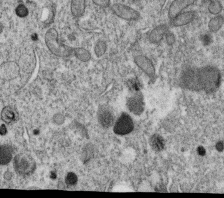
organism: C. elegans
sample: C. elegans oocyte; sperm cells